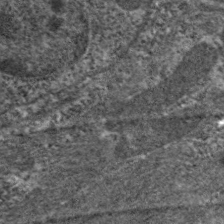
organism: C. elegans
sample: Pharynx